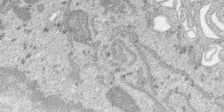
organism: Human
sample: Lung epithelial cells infected with SARS-CoV-2